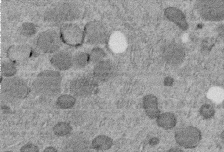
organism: C. elegans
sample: C. elegans embryo early stage